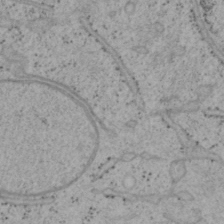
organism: Human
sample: HeLa cells